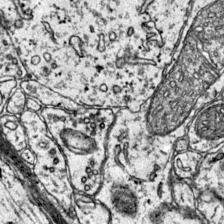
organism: Mouse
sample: Primary visual cortex